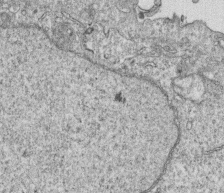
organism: Human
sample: HeLa cell HIV synapse